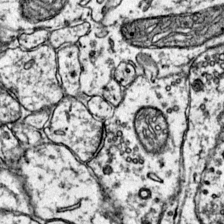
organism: Mouse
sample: Primary visual cortex